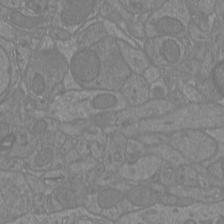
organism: Mouse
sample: Cortical neurons